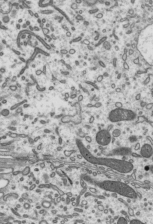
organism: Mouse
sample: Mouse epididymis efferent ductule cilia